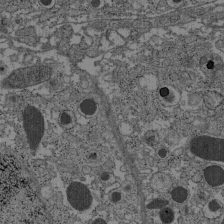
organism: C57BL Mouse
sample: Pancreatic islet